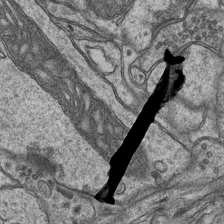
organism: Mouse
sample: CA1 Hippocampus